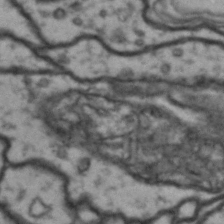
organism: Drosophila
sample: Brain